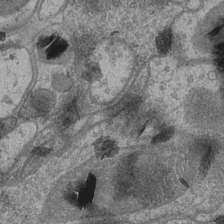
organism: Drosophila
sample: Optic medulla